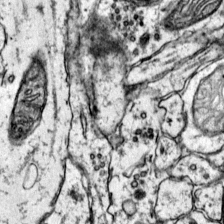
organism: Mouse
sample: Primary visual cortex